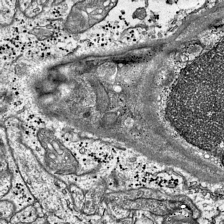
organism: Mouse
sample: Visual Cortex